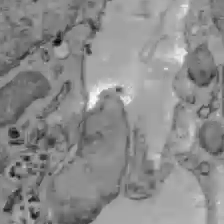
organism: C57BL Mouse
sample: Liver